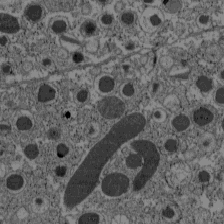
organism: C57BL Mouse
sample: Pancreatic islet